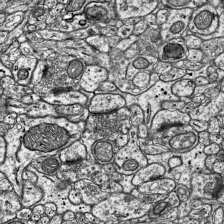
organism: Mouse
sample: Visual Cortex